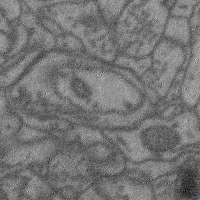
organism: Mouse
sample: Cerebral cortex